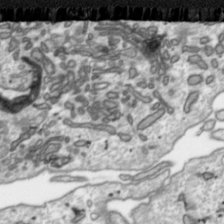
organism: Toxoplasma gondii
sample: Parasites in a vacuole inside a host cell